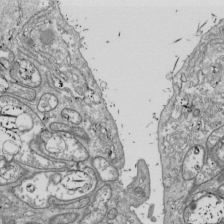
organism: Drosophila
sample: Cell division; meiosis; drosophila spermatocytes